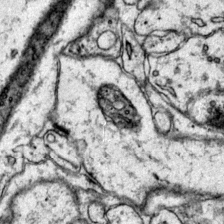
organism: Mouse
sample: Primary visual cortex